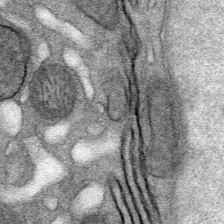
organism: Mouse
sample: Mouse Salivary gland